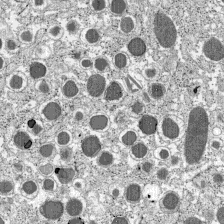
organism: C57BL Mouse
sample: Pancreatic islet